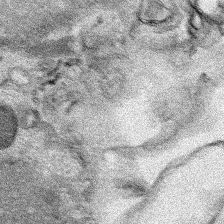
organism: Human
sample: Mitochondria in HCT116 cells